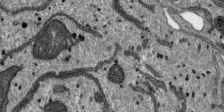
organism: Human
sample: Lung epithelial cells, uninfected (mock) control